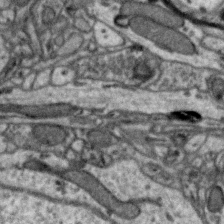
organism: Zebra finch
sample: Brain